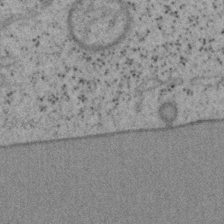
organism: Human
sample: HeLa cells